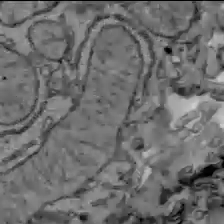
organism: C57BL Mouse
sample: Liver